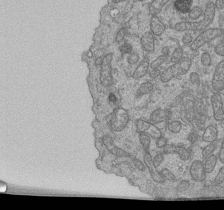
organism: Human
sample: Retinal organoid Rod and Cone cells